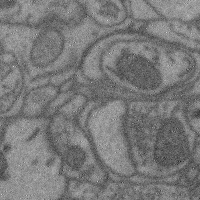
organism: Mouse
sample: Cerebral cortex